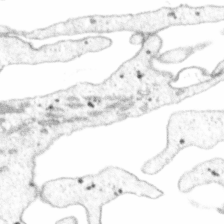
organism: Human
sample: HeLa cells